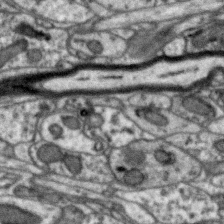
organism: Zebra finch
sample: Brain